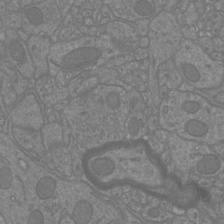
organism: Mouse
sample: Cortical neurons